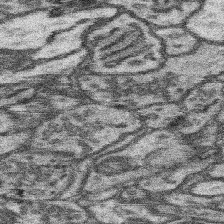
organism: Mouse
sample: Somatosensory cortex neuropil